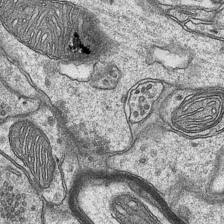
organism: Mouse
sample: CA1 Hippocampus